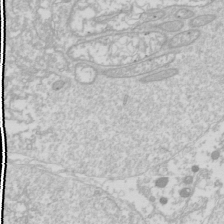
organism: Drosophila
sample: Cell division; meiosis; drosophila spermatocytes